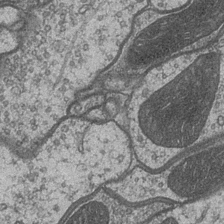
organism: Drosophila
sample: Optic medulla